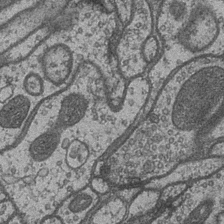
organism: Drosophila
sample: Optic medulla